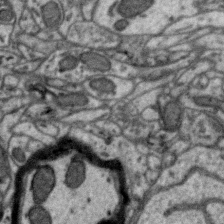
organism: Zebra finch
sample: Brain